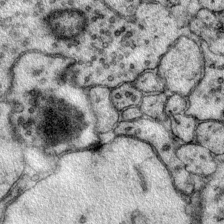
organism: Mouse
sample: Primary visual cortex